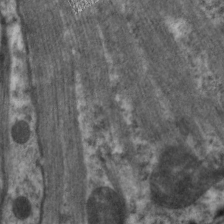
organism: C. elegans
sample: Pharynx